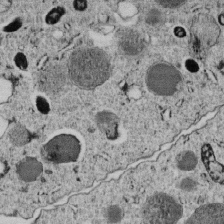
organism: C. elegans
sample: C. elegans embryo early stage